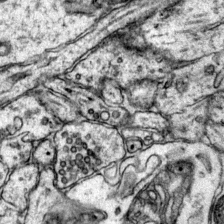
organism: Mouse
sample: Primary visual cortex